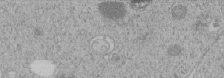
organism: C. elegans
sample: C. elegans embryo early stage